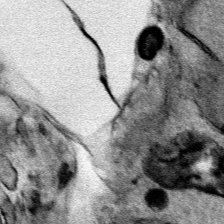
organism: Human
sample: Mitochondria in HCT116 cells